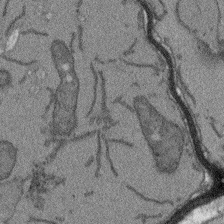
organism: Arabidopsis thaliana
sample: Root tip